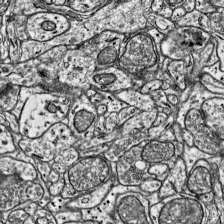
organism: Mouse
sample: Visual Cortex